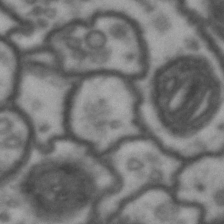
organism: Drosophila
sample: Brain